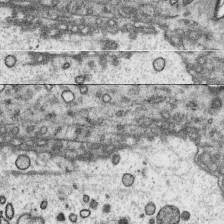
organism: Platynereis dumerilii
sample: Parapodia